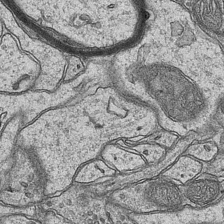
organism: Mouse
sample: CA1 Hippocampus